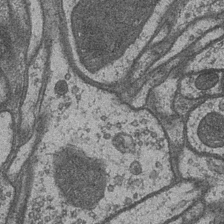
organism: Drosophila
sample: Optic medulla